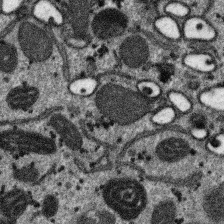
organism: Human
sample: Lung epithelial cells infected with SARS-CoV-2